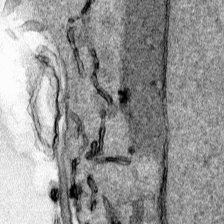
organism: Human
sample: Mitochondria in HCT116 cells